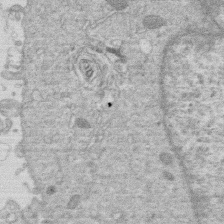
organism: Human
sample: Macrophage cells